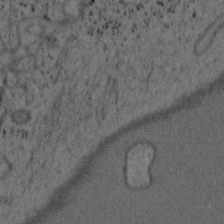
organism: Human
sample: HeLa cells